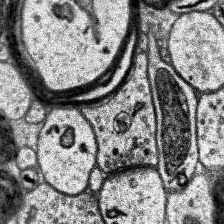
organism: Human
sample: Temporal Lobe